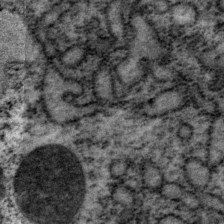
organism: P. pacificus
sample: Pharynx